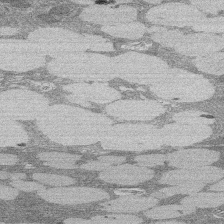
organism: Rat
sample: Salivary granule